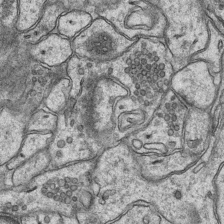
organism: Mouse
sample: CA1 Hippocampus